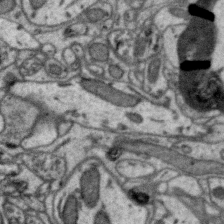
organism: Zebra finch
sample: Brain